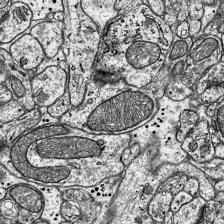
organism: Mouse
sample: Visual Cortex